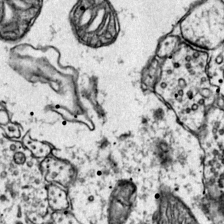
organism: Mouse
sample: Primary visual cortex